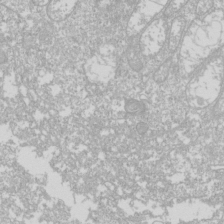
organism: Drosophila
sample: Cell division; meiosis; drosophila spermatocytes